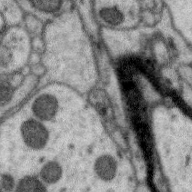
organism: Zebra finch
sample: Brain